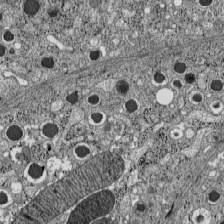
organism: C57BL Mouse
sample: Pancreatic islet